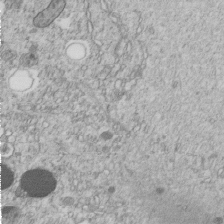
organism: C. elegans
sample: C. elegans embryo early stage